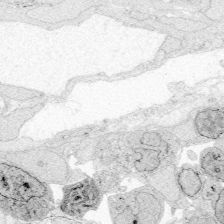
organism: Zebrafish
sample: Whole-Brain